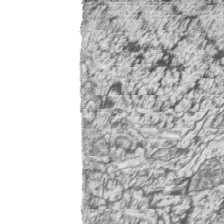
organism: Zebrafish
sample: synaptic ribbons in rod cells and cone cells